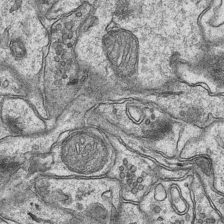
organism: Mouse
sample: CA1 Hippocampus